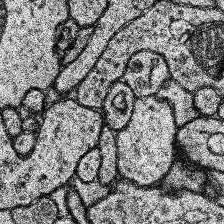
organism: Human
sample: Temporal Lobe